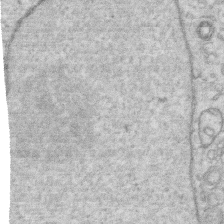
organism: Human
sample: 1205lu cells